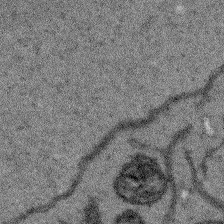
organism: Arabidopsis thaliana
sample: Root tip